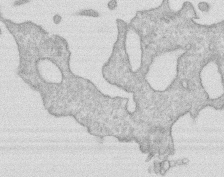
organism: Human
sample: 1205lu cells